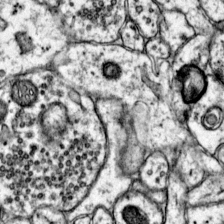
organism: Mouse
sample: Primary visual cortex